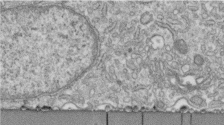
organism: Human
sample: Centriole in fibroblast cells